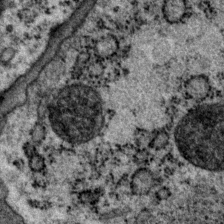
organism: P. pacificus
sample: Pharynx